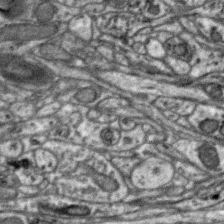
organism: Zebra finch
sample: Brain